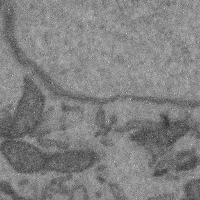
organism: Mouse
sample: Cerebral cortex